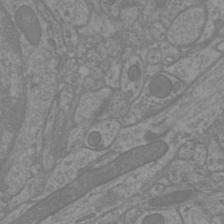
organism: Mouse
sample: Cortical neurons